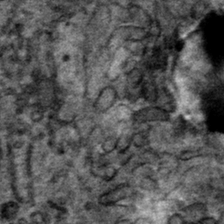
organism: Mouse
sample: Mouse hepatocytes